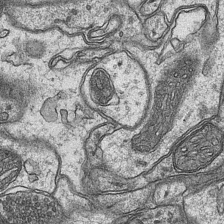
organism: Mouse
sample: CA1 Hippocampus